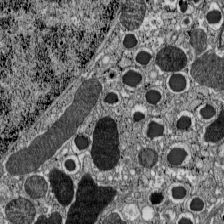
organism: C57BL Mouse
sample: Pancreatic islet